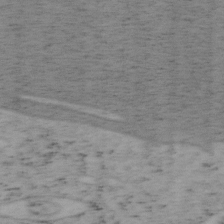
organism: Mouse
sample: OT-I killer T cells with ID8 ovarian cancer cells